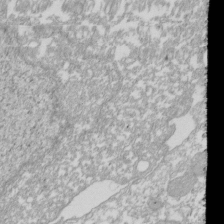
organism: Xenopus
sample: Cilia; centrioles in frog embryo cells